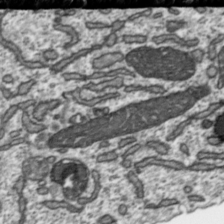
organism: Toxoplasma gondii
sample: Parasites in a vacuole inside a host cell